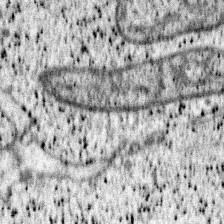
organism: Human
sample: HeLa cells